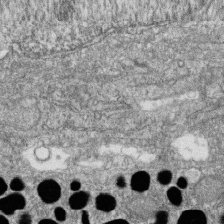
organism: Zebrafish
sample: Cilia; retinal pigment epithelium